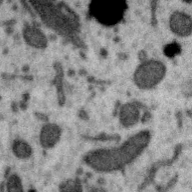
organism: Zebra finch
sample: Brain